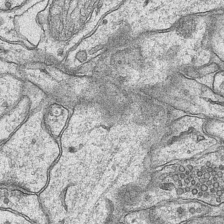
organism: Mouse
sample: CA1 Hippocampus